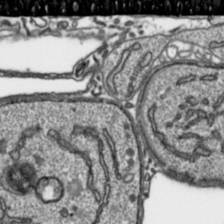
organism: Toxoplasma gondii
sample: Parasites in a vacuole inside a host cell